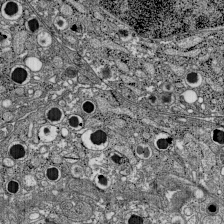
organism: C57BL Mouse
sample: Pancreatic islet